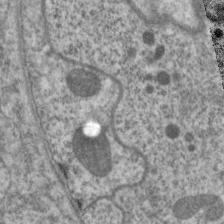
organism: C. elegans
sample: Pharynx